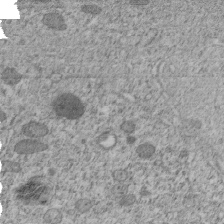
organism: C. elegans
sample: C. elegans embryo early stage